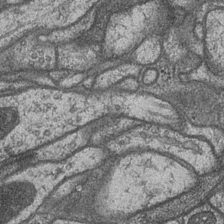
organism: Drosophila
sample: Optic medulla